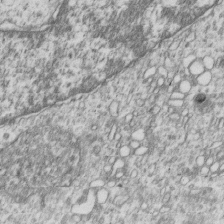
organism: Human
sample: MDA-MB-231 cells